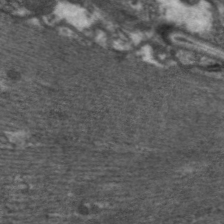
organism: C. elegans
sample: Pharynx